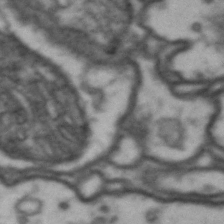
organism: Drosophila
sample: Brain